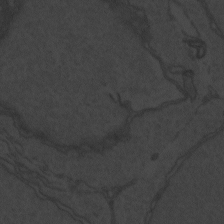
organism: Zebrafish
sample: Macrophage infected with Toxoplasma gondii